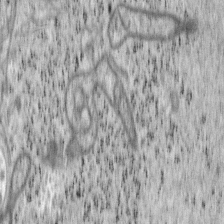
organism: Human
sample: HeLa cells